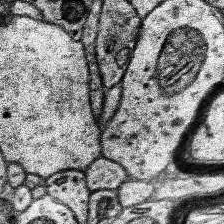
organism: Human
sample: Temporal Lobe